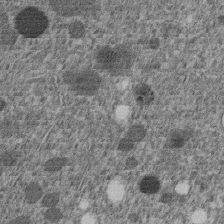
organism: C. elegans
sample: C. elegans embryo early stage